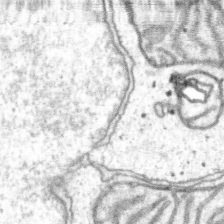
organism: Human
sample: HeLa cells